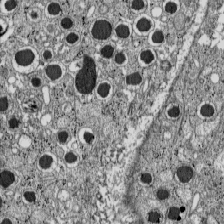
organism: C57BL Mouse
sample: Pancreatic islet